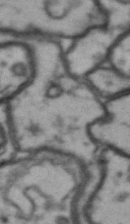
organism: Drosophila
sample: Brain